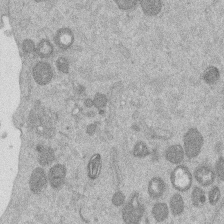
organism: Mouse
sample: Dividing mouse embryo 1 cell stage